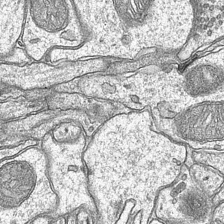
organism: Mouse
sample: CA1 Hippocampus